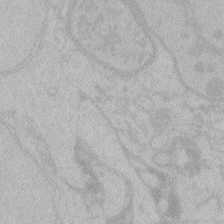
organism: Zebrafish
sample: Macrophage infected with Toxoplasma gondii